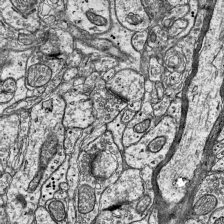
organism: Mouse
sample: Visual Cortex